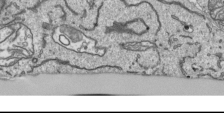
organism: Human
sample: Mitochondria in HCT116 cells